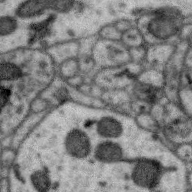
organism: Zebra finch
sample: Brain